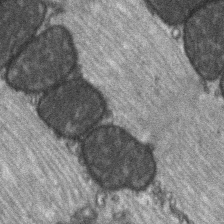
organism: C57BL Mouse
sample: Soleus